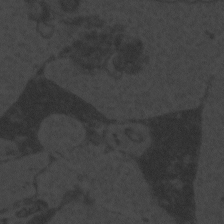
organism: Zebrafish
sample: Macrophage infected with Toxoplasma gondii